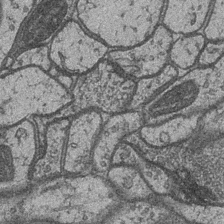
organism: Drosophila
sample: Optic medulla